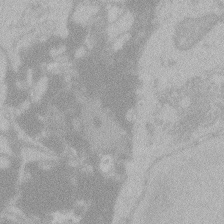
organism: Zebrafish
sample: Macrophage infected with Toxoplasma gondii